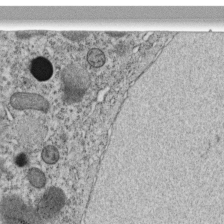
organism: C. elegans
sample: C. elegans embryo early stage